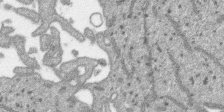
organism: Human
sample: Lung epithelial cells infected with SARS-CoV-2